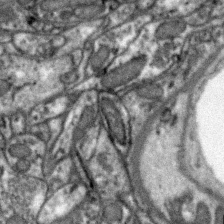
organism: Zebra finch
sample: Brain